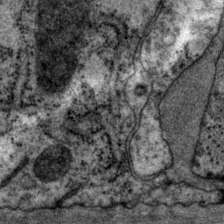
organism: P. pacificus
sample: Pharynx